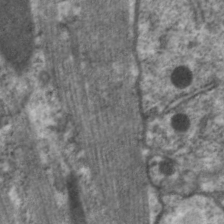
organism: C. elegans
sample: Pharynx